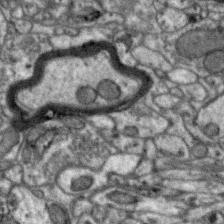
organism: Zebra finch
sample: Brain